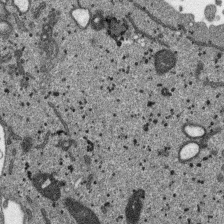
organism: Human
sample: Lung epithelial cells infected with SARS-CoV-2